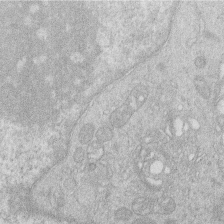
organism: Human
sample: Macrophage cells